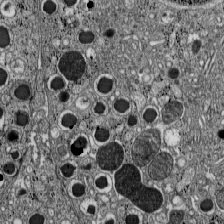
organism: C57BL Mouse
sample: Pancreatic islet